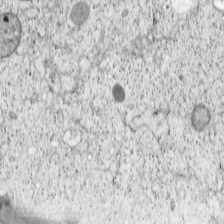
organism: African green monkey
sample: COS-7 cells